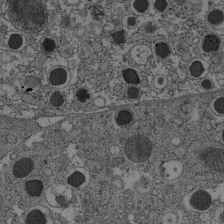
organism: C57BL Mouse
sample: Pancreatic islet